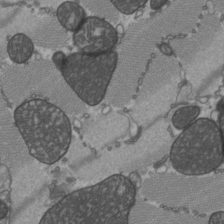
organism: C57BL Mouse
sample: Heart